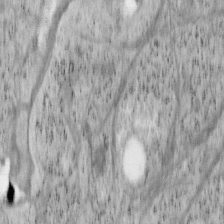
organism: Human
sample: HeLa cells